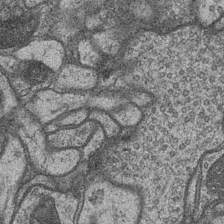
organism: Drosophila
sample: Optic medulla